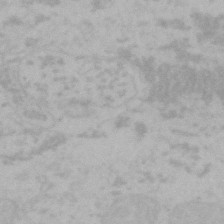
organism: Mouse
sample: Choroid plexus